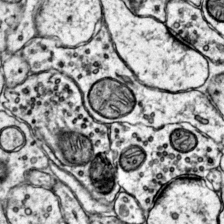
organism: Mouse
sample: Primary visual cortex